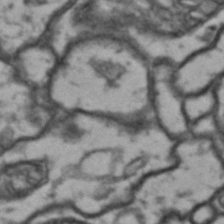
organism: Drosophila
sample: Brain